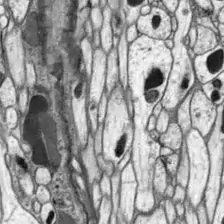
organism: Drosophila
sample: Optic lobe